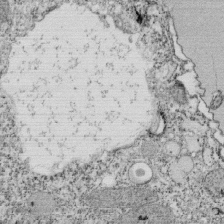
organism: Tetrahymena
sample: Cilia in tetrahymena